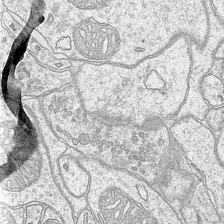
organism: Mouse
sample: CA1 Hippocampus